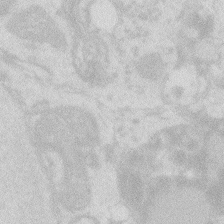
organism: Zebrafish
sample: Macrophage